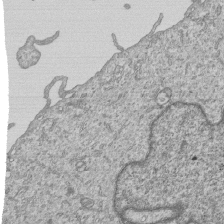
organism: Human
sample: MDA-MB-231 cells